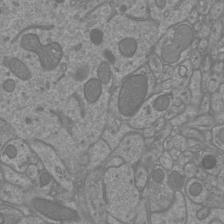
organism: Mouse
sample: Cortical neurons